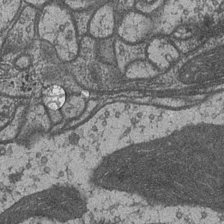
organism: Drosophila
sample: Optic medulla